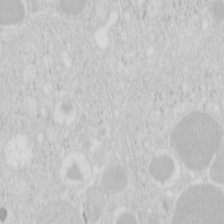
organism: Mouse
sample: Pancreas